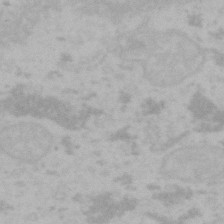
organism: Mouse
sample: Choroid plexus